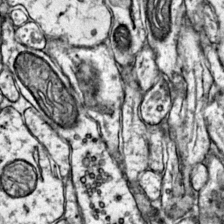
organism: Mouse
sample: Primary visual cortex